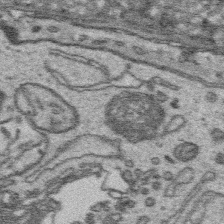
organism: Platynereis dumerilii